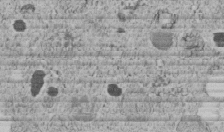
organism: C. elegans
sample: C. elegans embryo early stage